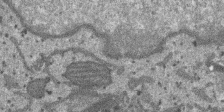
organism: Human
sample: Lung epithelial cells infected with SARS-CoV-2